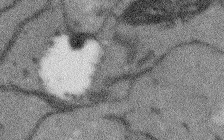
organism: Arabidopsis thaliana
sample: Root tip